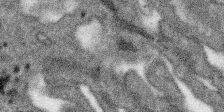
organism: Human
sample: Lung epithelial cells infected with SARS-CoV-2